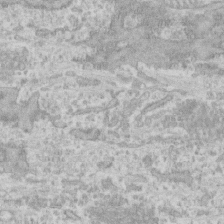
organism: Human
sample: CRL-1474